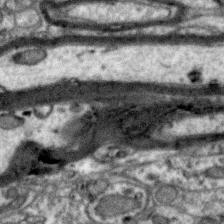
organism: Zebra finch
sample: Brain